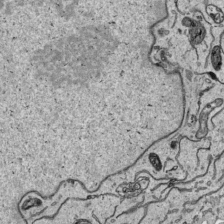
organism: Human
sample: Mitochondria in HCT116 cells